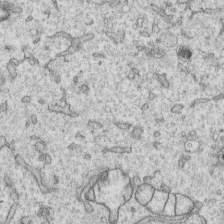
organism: Human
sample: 1205lu cells